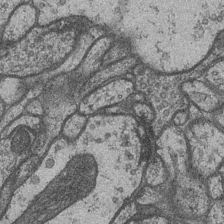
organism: Drosophila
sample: Optic medulla